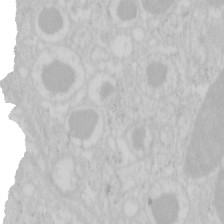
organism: Mouse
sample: Pancreas